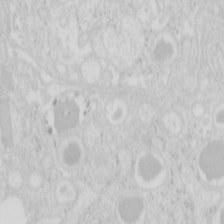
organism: Mouse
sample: Pancreas